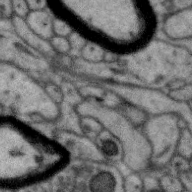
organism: Zebra finch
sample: Brain